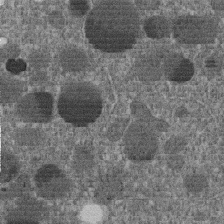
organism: C. elegans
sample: C. elegans embryo early stage